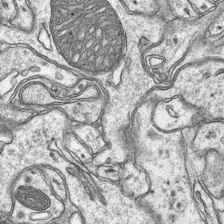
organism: Mouse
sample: CA1 Hippocampus